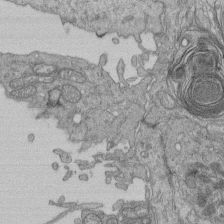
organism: Human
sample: Retinal organoid Rod and Cone cells